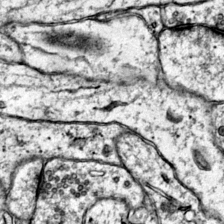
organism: Mouse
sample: Primary visual cortex